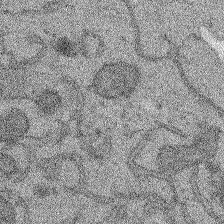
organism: Human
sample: HeLa cells